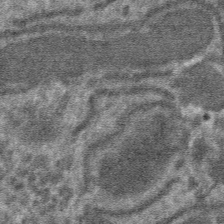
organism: Mouse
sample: Mouse hepatocytes